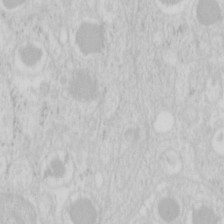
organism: Mouse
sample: Pancreas